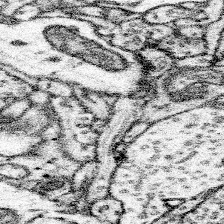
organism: Mouse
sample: Somatosensory cortex neuropil